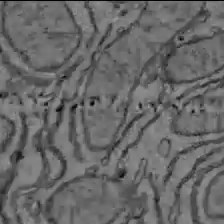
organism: C57BL Mouse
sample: Liver